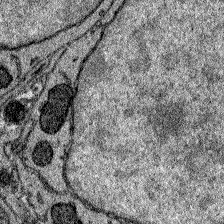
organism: Zebrafish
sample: Larval olfactory bulb